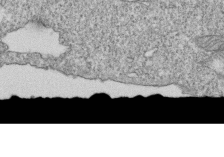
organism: Human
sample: HeLa cell HIV synapse